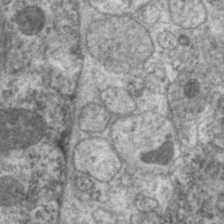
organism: C. elegans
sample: Pharynx